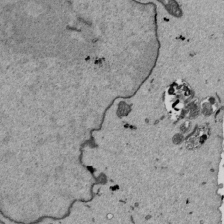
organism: Mouse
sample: ED-1 cell nuclei; centrioles